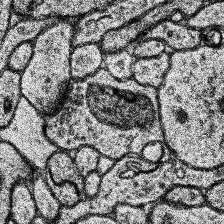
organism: Human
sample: Temporal Lobe